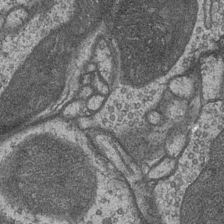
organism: Drosophila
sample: Optic medulla